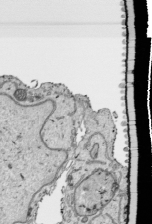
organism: Human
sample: Mitochondria in HCT116 cells